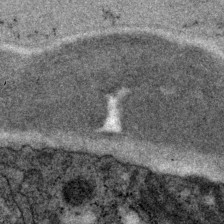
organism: P. pacificus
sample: Pharynx